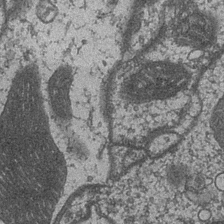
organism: Drosophila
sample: Optic medulla